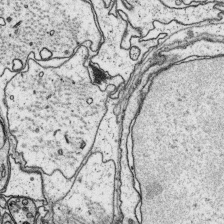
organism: Platynereis dumerilii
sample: Parapodia